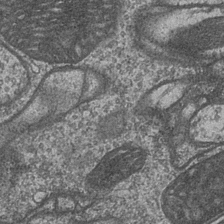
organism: Drosophila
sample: Optic medulla